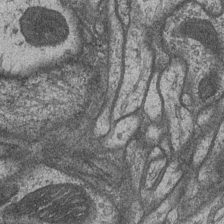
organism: Drosophila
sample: Optic medulla